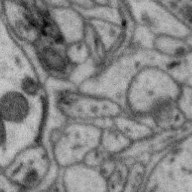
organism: Zebra finch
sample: Brain